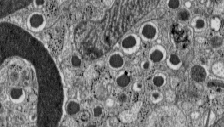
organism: C57BL Mouse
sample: Pancreatic islet